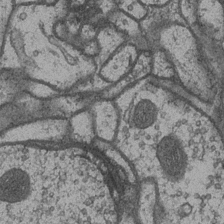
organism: Drosophila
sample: Optic medulla